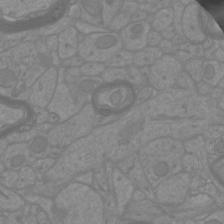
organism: Mouse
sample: Cortical neurons